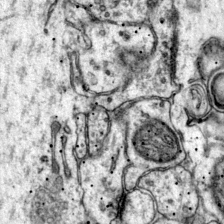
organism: Mouse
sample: Primary visual cortex